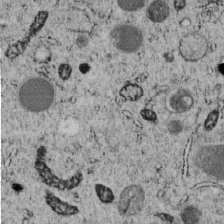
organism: C. elegans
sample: C. elegans embryo early stage